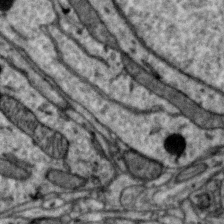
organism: Zebra finch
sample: Brain